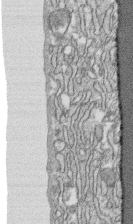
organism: Human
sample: CRL-1474